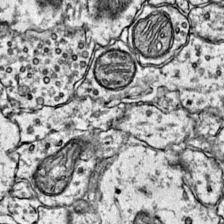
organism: Mouse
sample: Primary visual cortex